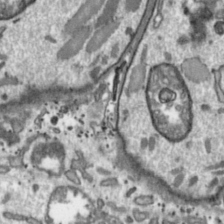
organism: Toxoplasma gondii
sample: Parasites in a vacuole inside a host cell